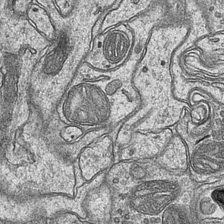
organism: Mouse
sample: CA1 Hippocampus